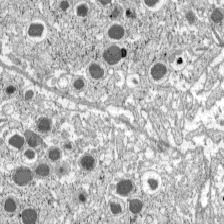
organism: C57BL Mouse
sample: Pancreatic islet